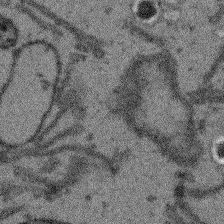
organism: Arabidopsis thaliana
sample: Root tip